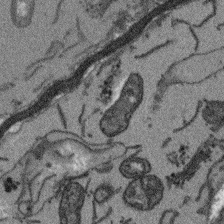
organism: Arabidopsis thaliana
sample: Root tip